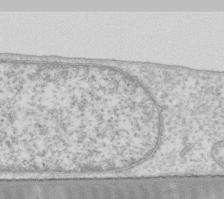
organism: Human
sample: Fibroblast cells